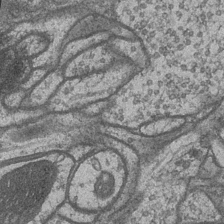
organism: Drosophila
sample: Optic medulla